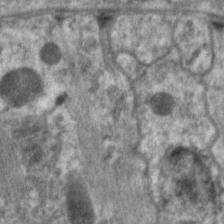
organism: C. elegans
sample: Pharynx